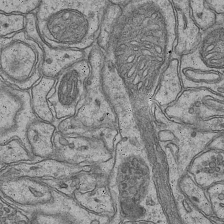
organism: Mouse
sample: CA1 Hippocampus